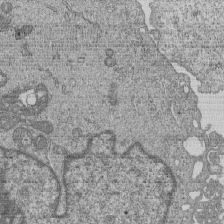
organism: Human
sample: MDA-MB-231 cells